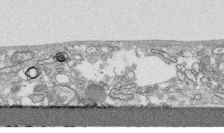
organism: Human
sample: CRL-1474